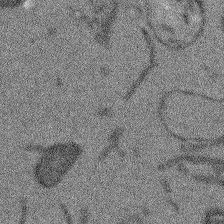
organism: Arabidopsis thaliana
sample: Root tip